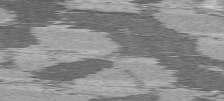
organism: C57BL Mouse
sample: Heart